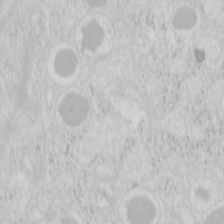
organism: Mouse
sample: Pancreas